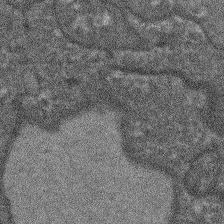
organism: Arabidopsis thaliana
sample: Root tip